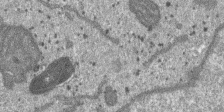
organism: Human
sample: Lung epithelial cells infected with SARS-CoV-2